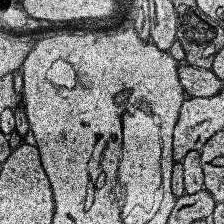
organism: Human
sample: Temporal Lobe